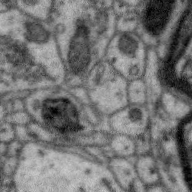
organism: Zebra finch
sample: Brain